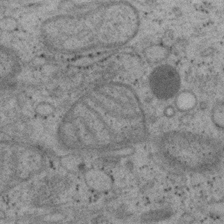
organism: Human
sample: HeLa cells